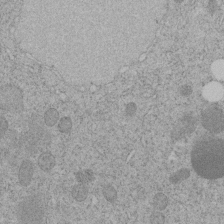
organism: C. elegans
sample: C. elegans embryo early stage